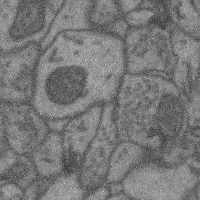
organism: Mouse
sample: Cerebral cortex